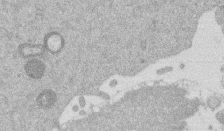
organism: Mouse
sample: Dividing mouse embryo 1 cell stage